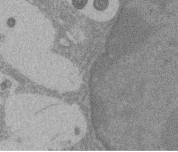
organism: Rat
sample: Salivary granule